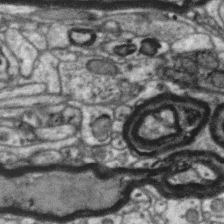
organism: Zebra finch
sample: Brain